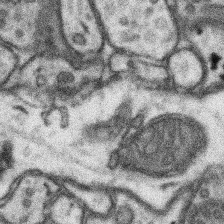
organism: Mouse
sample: Somatosensory cortex neuropil